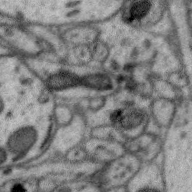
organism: Zebra finch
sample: Brain